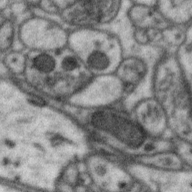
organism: Zebra finch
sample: Brain